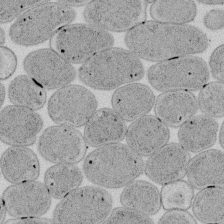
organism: E. coli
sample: Bacterial nucleoid